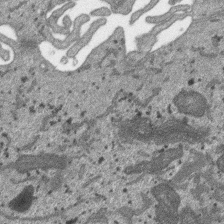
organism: Human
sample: Lung epithelial cells infected with SARS-CoV-2